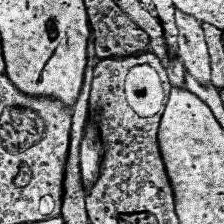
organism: Human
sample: Temporal Lobe